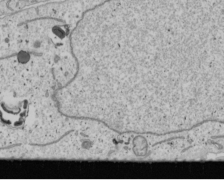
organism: Human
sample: Mitochondria in U2OS cells